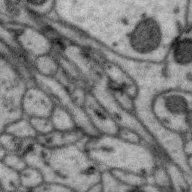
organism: Zebra finch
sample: Brain